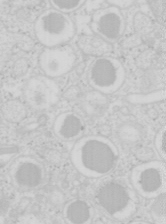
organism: Mouse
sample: Pancreas